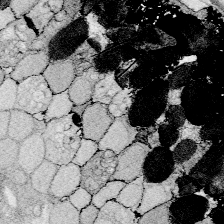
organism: Zebrafish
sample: Whole-Brain